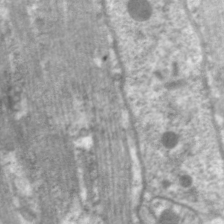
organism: C. elegans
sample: Pharynx